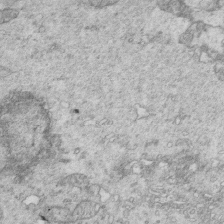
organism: Mouse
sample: Multiciliated cells